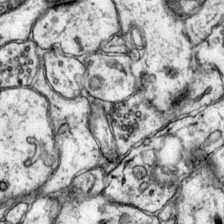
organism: Mouse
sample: Primary visual cortex